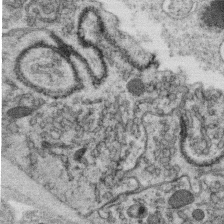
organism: C. elegans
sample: C. elegans oocyte; sperm cells